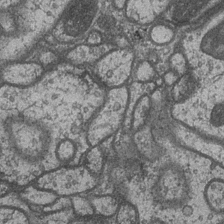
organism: Drosophila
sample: Optic medulla